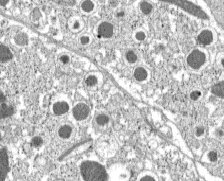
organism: C57BL Mouse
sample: Pancreatic islet